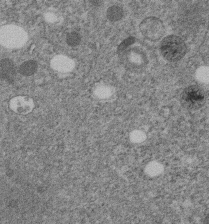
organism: C. elegans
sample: C. elegans embryo early stage